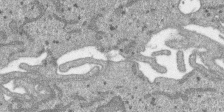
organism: Human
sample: Lung epithelial cells infected with SARS-CoV-2